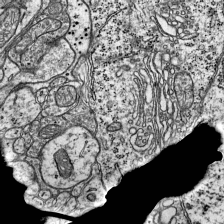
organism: Mouse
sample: Visual Cortex